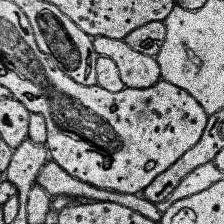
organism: Human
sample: Temporal Lobe